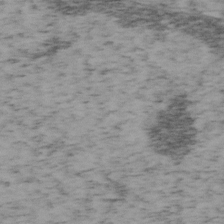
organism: Mouse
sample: OT-I killer T cells with ID8 ovarian cancer cells